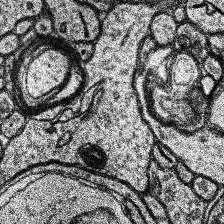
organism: Human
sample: Temporal Lobe